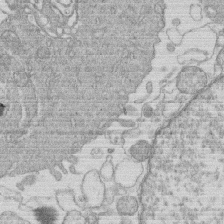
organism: Human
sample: Macrophage cells